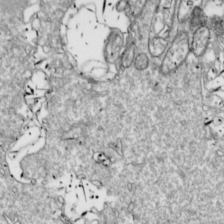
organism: Drosophila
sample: Cell division; meiosis; drosophila spermatocytes